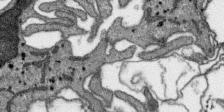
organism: Human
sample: Lung epithelial cells, uninfected (mock) control